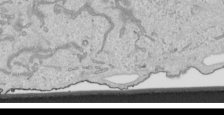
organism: Human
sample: Mitochondria in HCT116 cells